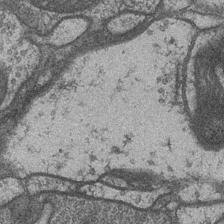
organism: Drosophila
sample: Optic medulla